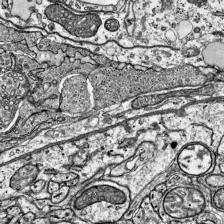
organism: Mouse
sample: Visual Cortex